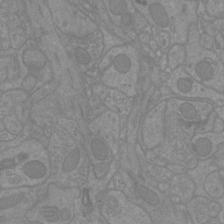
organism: Mouse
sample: Cortical neurons